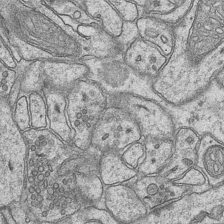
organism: Mouse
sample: CA1 Hippocampus